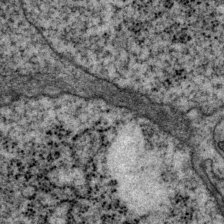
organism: P. pacificus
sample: Pharynx